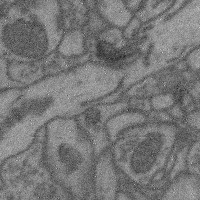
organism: Mouse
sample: Cerebral cortex